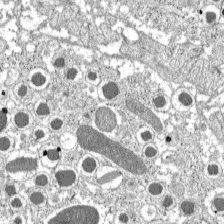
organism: C57BL Mouse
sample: Pancreatic islet